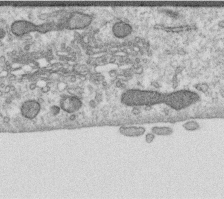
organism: Human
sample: Centriole in RPE cells